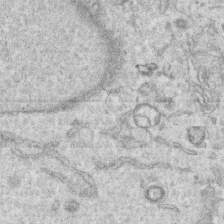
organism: Human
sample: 1205lu cells